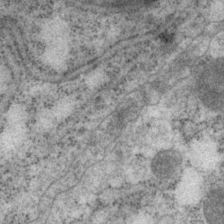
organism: P. pacificus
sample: Pharynx